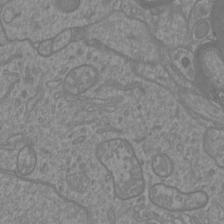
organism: Mouse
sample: Cortical neurons